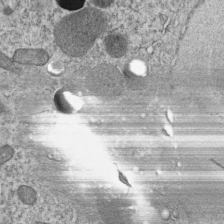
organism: C. elegans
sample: C. elegans embryo early stage